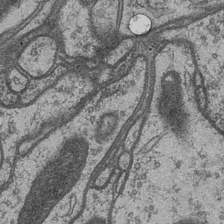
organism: Drosophila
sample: Optic medulla